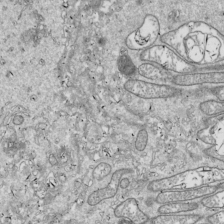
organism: Drosophila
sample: Cell division; meiosis; drosophila spermatocytes